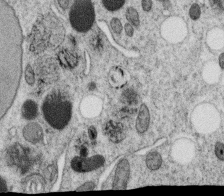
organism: C. elegans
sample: C. elegans oocyte; sperm cells